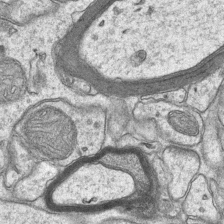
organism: Mouse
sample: CA1 Hippocampus